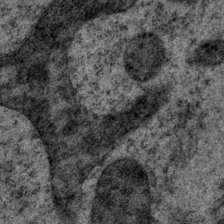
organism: P. pacificus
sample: Pharynx